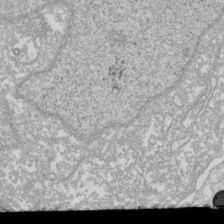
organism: Xenopus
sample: Cilia; centrioles in frog embryo cells